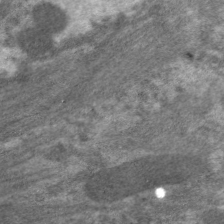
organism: C. elegans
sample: Pharynx